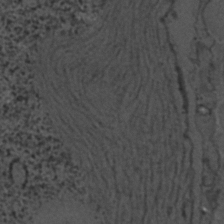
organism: C. elegans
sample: C. elegans embryo